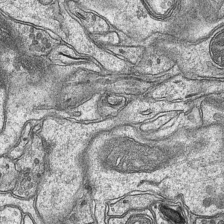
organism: Mouse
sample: CA1 Hippocampus